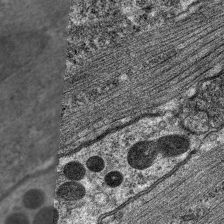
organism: C. elegans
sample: Pharynx